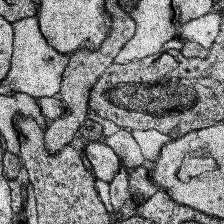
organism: Human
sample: Temporal Lobe